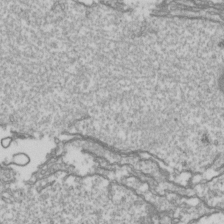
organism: Drosophila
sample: Cell division; meiosis; drosophila spermatocytes